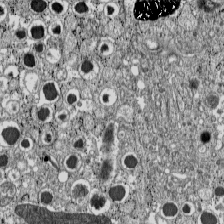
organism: C57BL Mouse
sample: Pancreatic islet